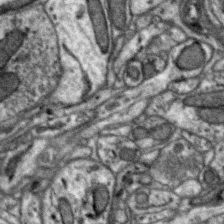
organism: Zebra finch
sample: Brain